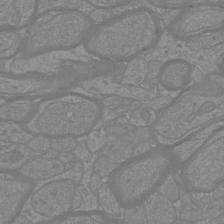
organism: Mouse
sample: Cortical neurons